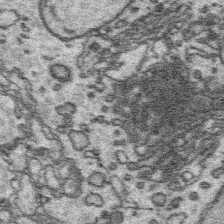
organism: Platynereis dumerilii